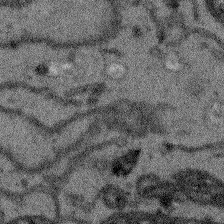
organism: Arabidopsis thaliana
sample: Root tip